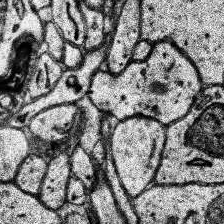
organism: Human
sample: Temporal Lobe